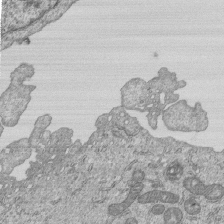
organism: Human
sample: MDA-MB-231 cells